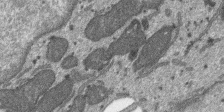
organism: Human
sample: Lung epithelial cells infected with SARS-CoV-2